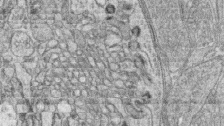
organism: Zebrafish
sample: synaptic ribbons in rod cells and cone cells